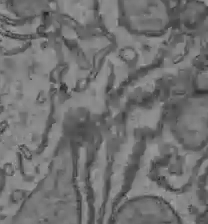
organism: C57BL Mouse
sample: Liver